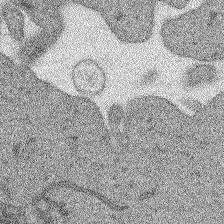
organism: Human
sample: HeLa cells